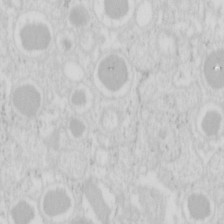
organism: Mouse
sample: Pancreas